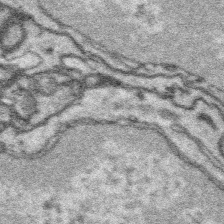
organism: Platynereis dumerilii